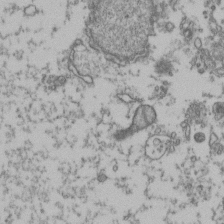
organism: Human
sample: Activated Jurkat CD4+ T cells